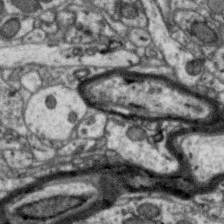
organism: Zebra finch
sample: Brain